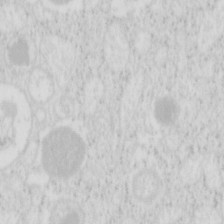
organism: Mouse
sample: Pancreas